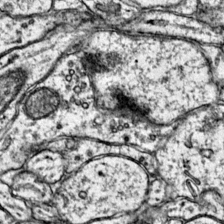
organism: Mouse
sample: Primary visual cortex